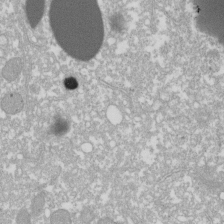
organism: Xenopus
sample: Cilia; centrioles in frog embryo cells